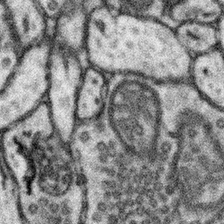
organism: Mouse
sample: Somatosensory cortex neuropil